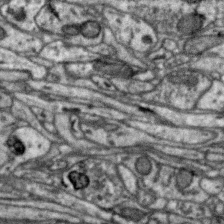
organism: Zebra finch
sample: Brain